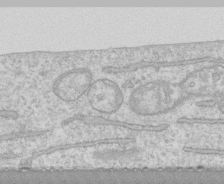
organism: Human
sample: CRL-1474